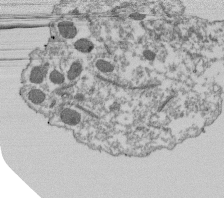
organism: Dictyostelium discoideum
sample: Dictyostelium multivesicular bodies